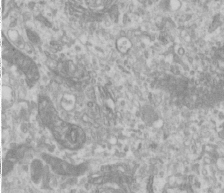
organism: Human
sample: Cilia; basal body in RPE cells